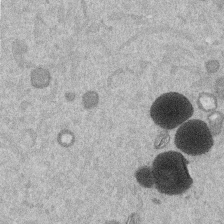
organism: Mouse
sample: Dividing mouse embryo 1 cell stage